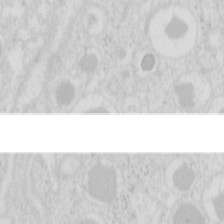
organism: Mouse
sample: Pancreas